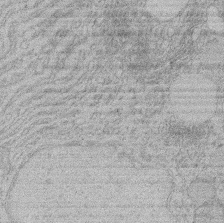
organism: Rat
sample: Salivary granule